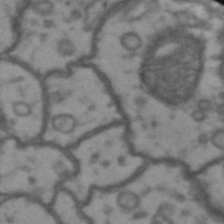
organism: Drosophila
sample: Brain